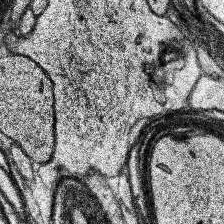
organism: Human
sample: Temporal Lobe